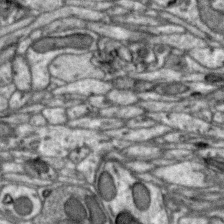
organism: Zebra finch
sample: Brain